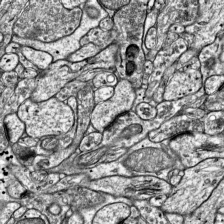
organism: Mouse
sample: Visual Cortex